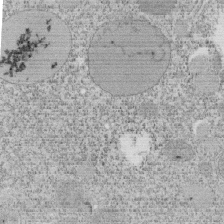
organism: Tetrahymena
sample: Cilia in tetrahymena